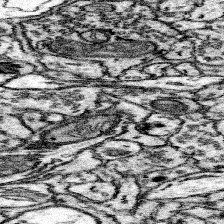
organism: Mouse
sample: Somatosensory cortex neuropil